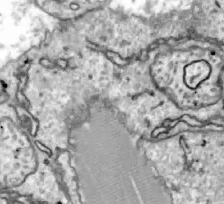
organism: Zebrafish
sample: Actinotrichia fibers